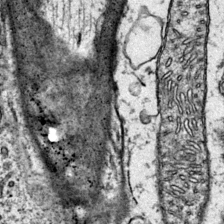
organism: Mouse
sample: Primary visual cortex